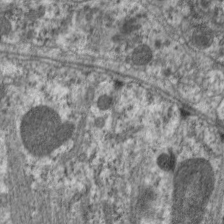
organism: C. elegans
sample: Pharynx